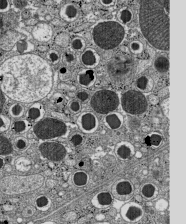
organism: C57BL Mouse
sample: Pancreatic islet